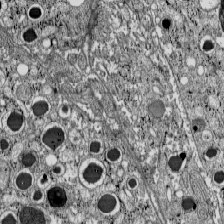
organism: C57BL Mouse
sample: Pancreatic islet